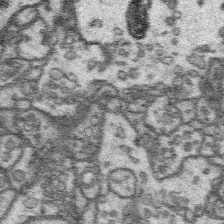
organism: Platynereis dumerilii